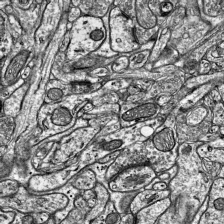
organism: Mouse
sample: Visual Cortex